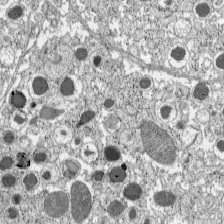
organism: C57BL Mouse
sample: Pancreatic islet